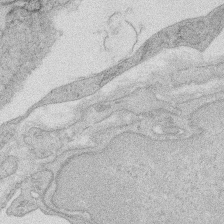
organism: Rat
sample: Salivary granule